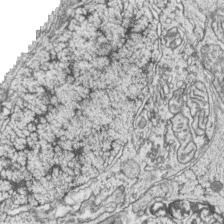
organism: Zebrafish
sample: synaptic ribbons in rod cells and cone cells